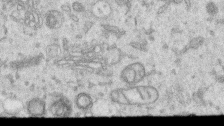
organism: Human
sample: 1205lu cells